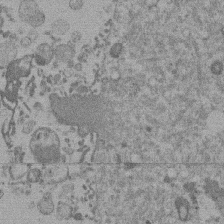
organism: Mouse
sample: Dividing mouse embryo 1 cell stage